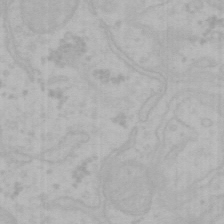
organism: Mouse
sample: Choroid plexus